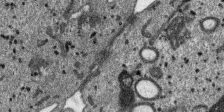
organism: Human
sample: Lung epithelial cells infected with SARS-CoV-2